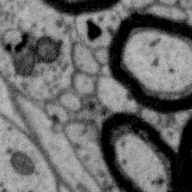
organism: Zebra finch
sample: Brain